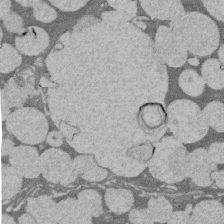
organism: Rat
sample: Salivary granule